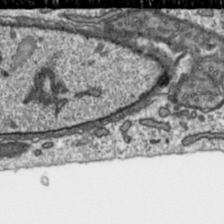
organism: Toxoplasma gondii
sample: Parasites in a vacuole inside a host cell